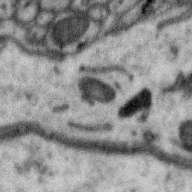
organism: Zebra finch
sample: Brain